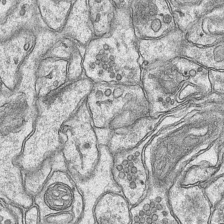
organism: Mouse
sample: CA1 Hippocampus